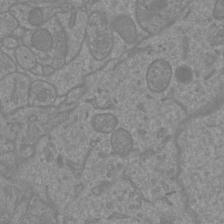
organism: Mouse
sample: Cortical neurons